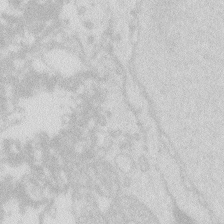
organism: Zebrafish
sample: Macrophage